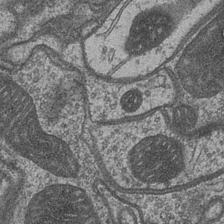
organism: Drosophila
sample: Optic medulla